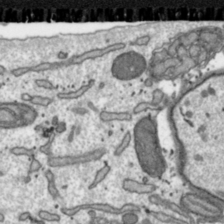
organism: Toxoplasma gondii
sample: Parasites in a vacuole inside a host cell